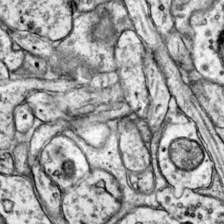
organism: Mouse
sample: Primary visual cortex